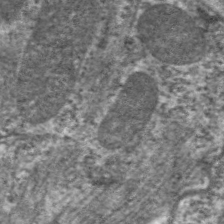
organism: C. elegans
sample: Pharynx